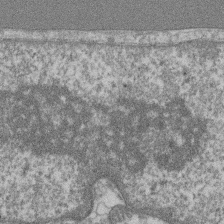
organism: Mouse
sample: T cell stromal cell synapse